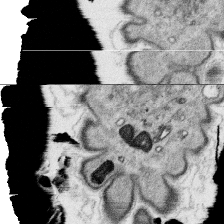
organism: Platynereis dumerilii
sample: Parapodia